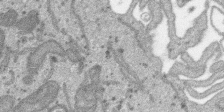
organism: Human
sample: Lung epithelial cells infected with SARS-CoV-2